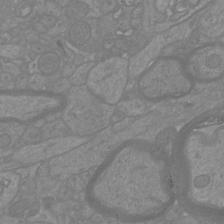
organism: Mouse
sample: Cortical neurons